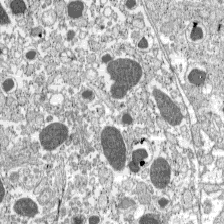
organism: C57BL Mouse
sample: Pancreatic islet